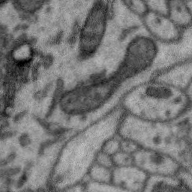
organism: Zebra finch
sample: Brain